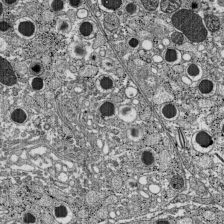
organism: C57BL Mouse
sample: Pancreatic islet